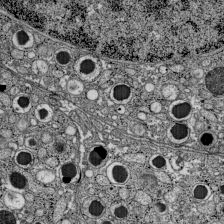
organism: C57BL Mouse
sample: Pancreatic islet